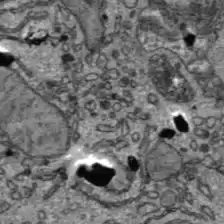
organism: C57BL Mouse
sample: Liver